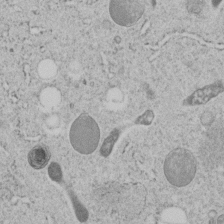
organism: C. elegans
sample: C. elegans embryo early stage